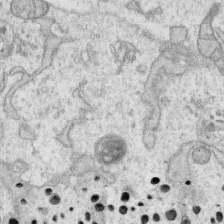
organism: Human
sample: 1205lu cells